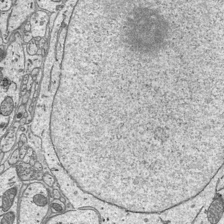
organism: Mouse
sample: Suprachiasmatic nucleus